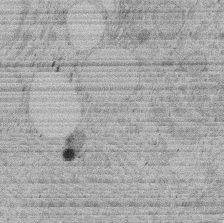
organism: Rat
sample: Salivary granule